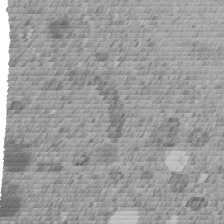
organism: C. elegans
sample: C. elegans embryo early stage